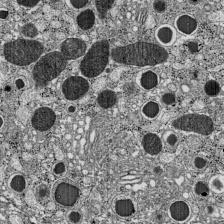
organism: C57BL Mouse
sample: Pancreatic islet